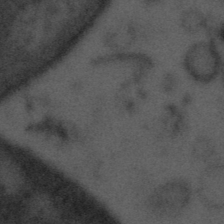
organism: Tuwongella immobilis